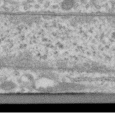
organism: Human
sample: Centriole in RPE cells